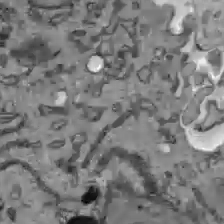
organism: C57BL Mouse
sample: Liver